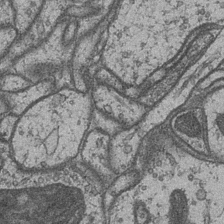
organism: Drosophila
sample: Optic medulla